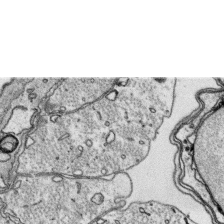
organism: Platynereis dumerilii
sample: Parapodia